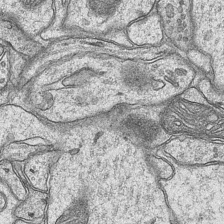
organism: Mouse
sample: CA1 Hippocampus